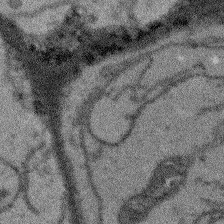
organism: Arabidopsis thaliana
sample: Root tip